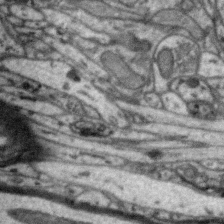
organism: Zebra finch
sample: Brain